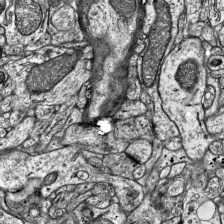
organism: Mouse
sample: Visual Cortex